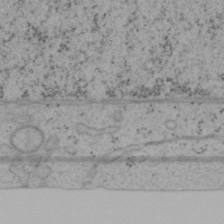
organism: Human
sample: HeLa cells